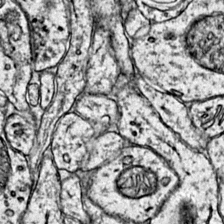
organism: Mouse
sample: Primary visual cortex